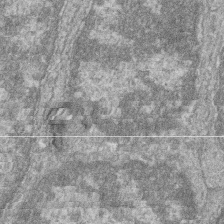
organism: Zebrafish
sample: Cilia; retinal pigment epithelium